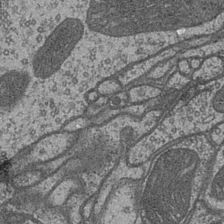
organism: Drosophila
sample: Optic medulla